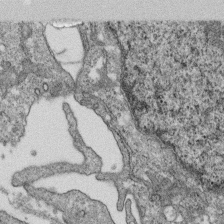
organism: African green monkey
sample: Vero E6 cells infected with SARS-CoV-2